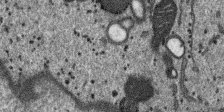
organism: Human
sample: Lung epithelial cells infected with SARS-CoV-2